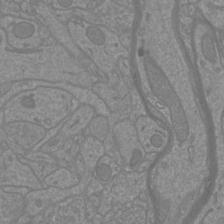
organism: Mouse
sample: Cortical neurons